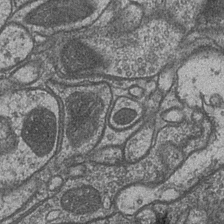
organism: Drosophila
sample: Optic medulla